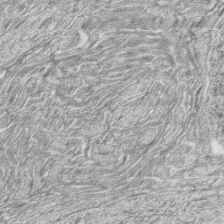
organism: Zebrafish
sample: synaptic ribbons in rod cells and cone cells